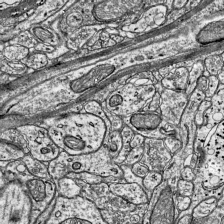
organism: Mouse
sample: Visual Cortex